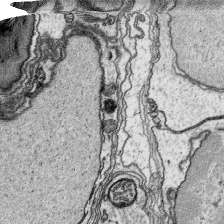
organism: Platynereis dumerilii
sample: Parapodia